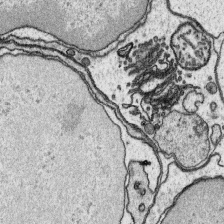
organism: Platynereis dumerilii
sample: Parapodia